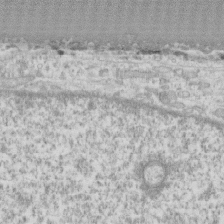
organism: Human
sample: CRL-1474